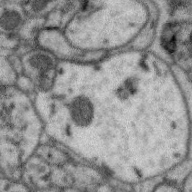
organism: Zebra finch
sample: Brain